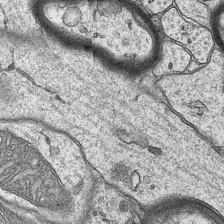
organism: Mouse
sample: CA1 Hippocampus